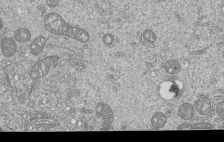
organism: Human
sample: MDA-MB-231 cells